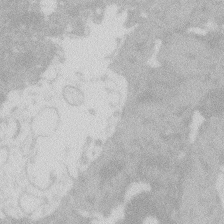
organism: Zebrafish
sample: Macrophage